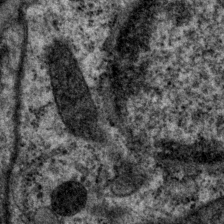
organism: P. pacificus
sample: Pharynx